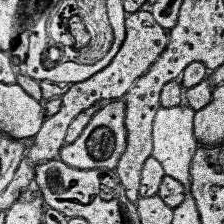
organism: Human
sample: Temporal Lobe